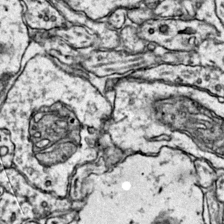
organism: Mouse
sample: Primary visual cortex